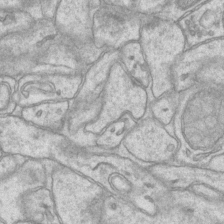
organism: Mouse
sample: CA1 Hippocampus